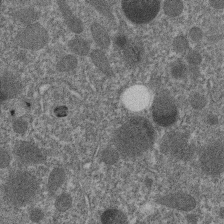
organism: C. elegans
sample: C. elegans embryo early stage